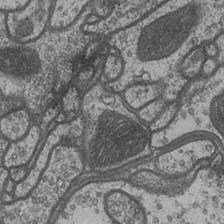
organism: Drosophila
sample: Optic medulla